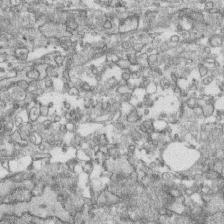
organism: Human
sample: CRL-1474